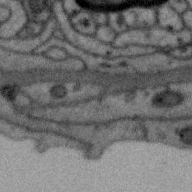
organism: Zebra finch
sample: Brain